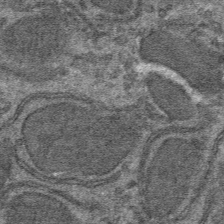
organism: Mouse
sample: Mouse hepatocytes